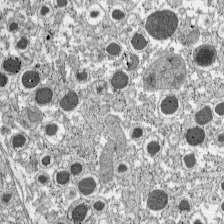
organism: C57BL Mouse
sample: Pancreatic islet